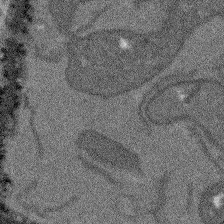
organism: Arabidopsis thaliana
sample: Root tip